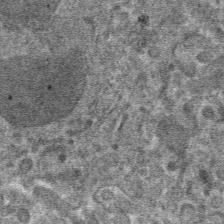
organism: Mouse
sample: Mouse hepatocytes